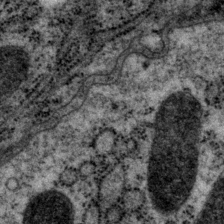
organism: P. pacificus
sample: Pharynx